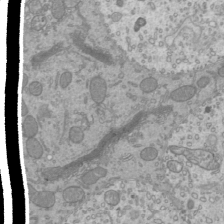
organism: Mouse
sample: Cilia; mouse epididymis